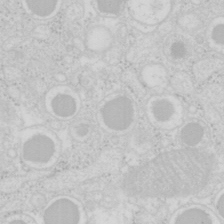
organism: Mouse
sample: Pancreas